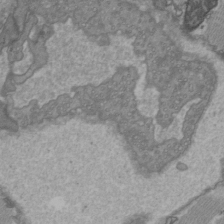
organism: C57BL Mouse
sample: Heart